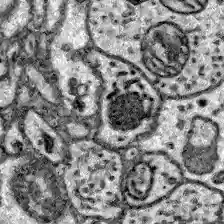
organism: Zebrafish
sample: Brain